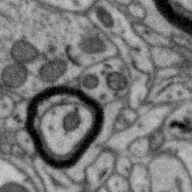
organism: Zebra finch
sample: Brain